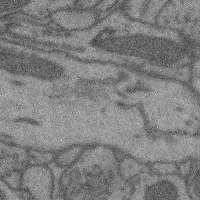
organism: Mouse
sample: Cerebral cortex